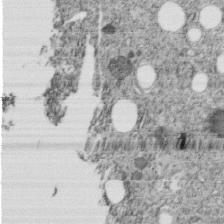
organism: C. elegans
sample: C. elegans embryo early stage